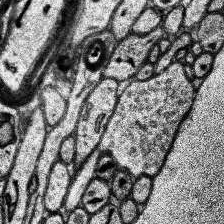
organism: Human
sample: Temporal Lobe